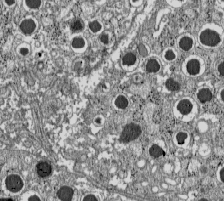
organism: C57BL Mouse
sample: Pancreatic islet